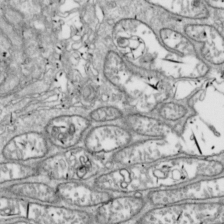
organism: Drosophila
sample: Cell division; meiosis; drosophila spermatocytes